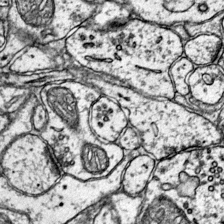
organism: Mouse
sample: Primary visual cortex